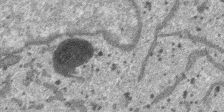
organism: Human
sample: Lung epithelial cells infected with SARS-CoV-2